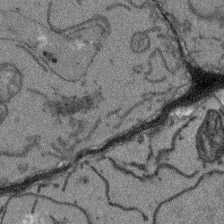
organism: Arabidopsis thaliana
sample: Root tip